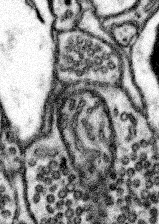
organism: Mouse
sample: Somatosensory cortex neuropil